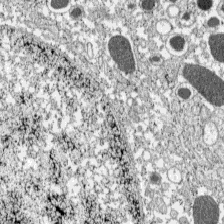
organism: C57BL Mouse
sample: Pancreatic islet